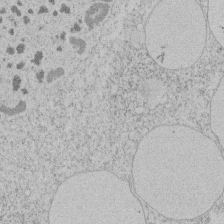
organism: Tetrahymena